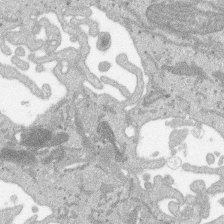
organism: Human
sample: Lung epithelial cells infected with SARS-CoV-2